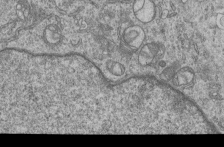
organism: Human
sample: MDA-MB-231 cells